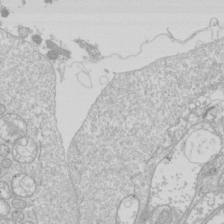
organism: Drosophila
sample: Cell division; meiosis; drosophila spermatocytes